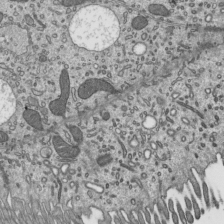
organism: Mouse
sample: Mouse epididymis efferent ductule cilia